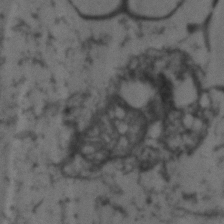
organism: Zebrafish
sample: Zebrafish embryo